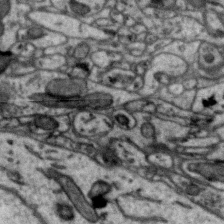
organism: Zebra finch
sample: Brain